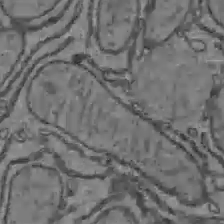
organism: C57BL Mouse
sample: Liver